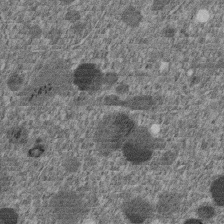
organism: C. elegans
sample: C. elegans embryo early stage